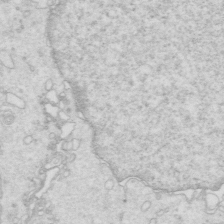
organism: Mouse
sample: Multiciliated cells